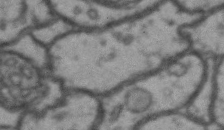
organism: Drosophila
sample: Brain